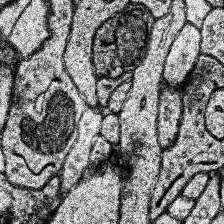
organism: Human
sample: Temporal Lobe